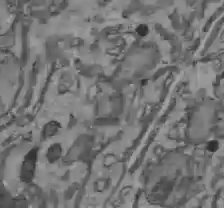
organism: C57BL Mouse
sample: Liver